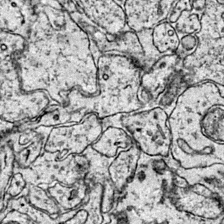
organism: Mouse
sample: Primary visual cortex